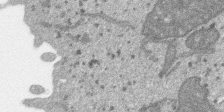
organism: Human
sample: Lung epithelial cells infected with SARS-CoV-2